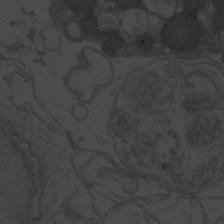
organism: Zebrafish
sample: Macrophage infected with Toxoplasma gondii